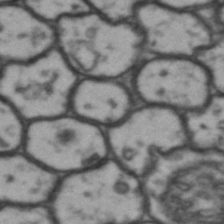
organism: Drosophila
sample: Brain